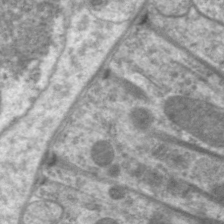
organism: C. elegans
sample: Pharynx